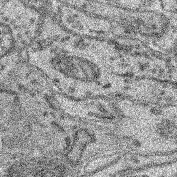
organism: Mouse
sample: Retina